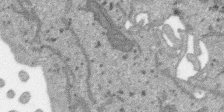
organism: Human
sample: Lung epithelial cells infected with SARS-CoV-2